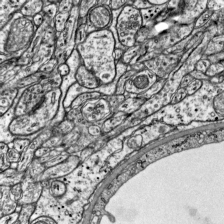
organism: Mouse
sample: Visual Cortex